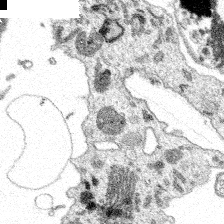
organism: Spongilla lacustris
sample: Multiple